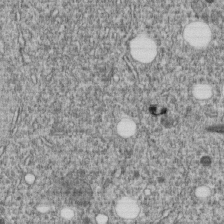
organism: C. elegans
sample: C. elegans embryo early stage